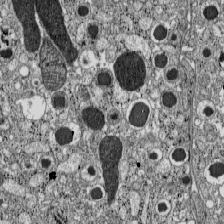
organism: C57BL Mouse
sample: Pancreatic islet